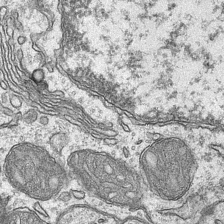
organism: Mouse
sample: CA1 Hippocampus